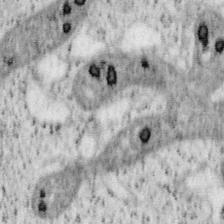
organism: Mouse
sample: OT-I killer T cells with ID8 ovarian cancer cells